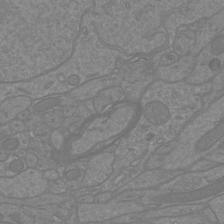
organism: Mouse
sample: Cortical neurons